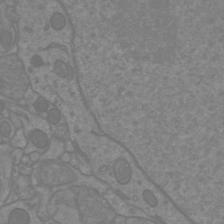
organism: Mouse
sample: Cortical neurons